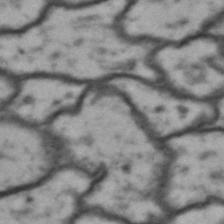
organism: Drosophila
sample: Brain